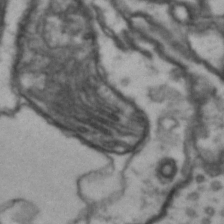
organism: Drosophila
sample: Brain